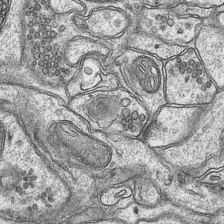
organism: Mouse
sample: CA1 Hippocampus